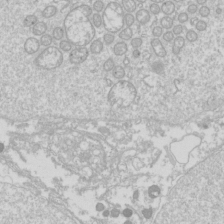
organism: Drosophila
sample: Cell division; meiosis; drosophila spermatocytes